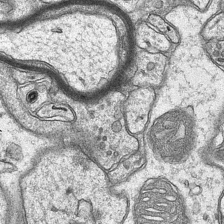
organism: Mouse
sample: CA1 Hippocampus